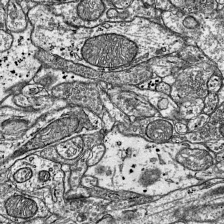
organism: Mouse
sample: Visual Cortex